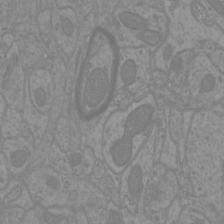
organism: Mouse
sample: Cortical neurons